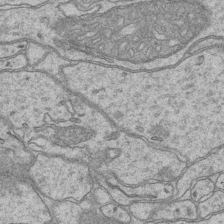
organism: Mouse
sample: CA1 Hippocampus